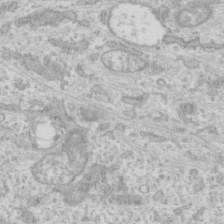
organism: Human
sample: CRL-1474